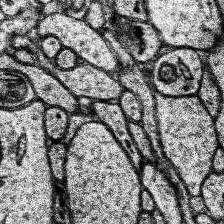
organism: Human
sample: Temporal Lobe